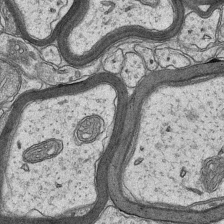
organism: Mouse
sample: CA1 Hippocampus